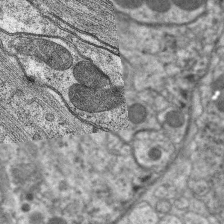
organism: C. elegans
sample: Pharynx